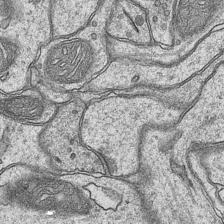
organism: Mouse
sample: CA1 Hippocampus